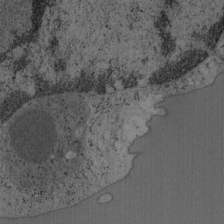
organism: Mouse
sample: OT-I killer T cells with ID8 ovarian cancer cells